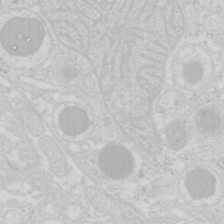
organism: Mouse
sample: Pancreas